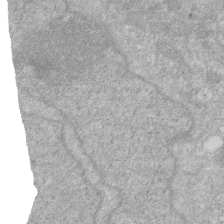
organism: Human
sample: HIV infected U937 cells